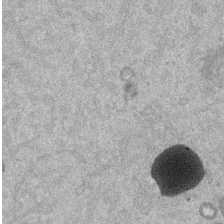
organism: Mouse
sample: Dividing mouse embryo 1 cell stage